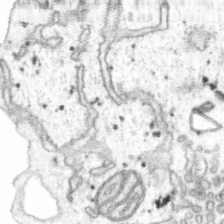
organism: Human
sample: HeLa cells